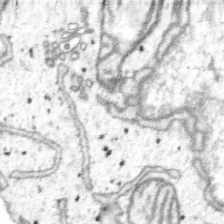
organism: Human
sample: HeLa cells